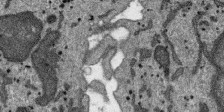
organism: Human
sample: Lung epithelial cells, uninfected (mock) control